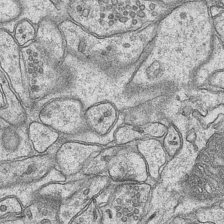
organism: Mouse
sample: CA1 Hippocampus